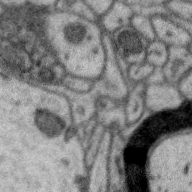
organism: Zebra finch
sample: Brain